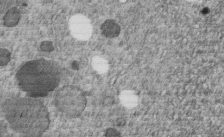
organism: C. elegans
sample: C. elegans embryo early stage